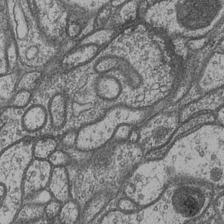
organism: Drosophila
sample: Optic medulla